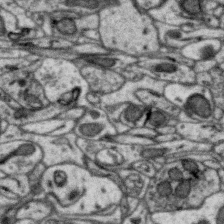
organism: Zebra finch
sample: Brain